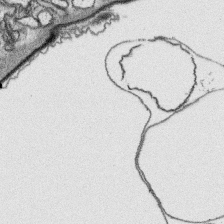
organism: Platynereis dumerilii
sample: Parapodia